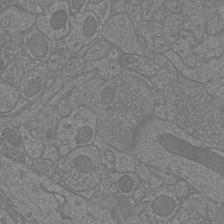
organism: Mouse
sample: Cortical neurons